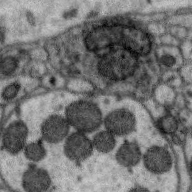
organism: Zebra finch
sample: Brain